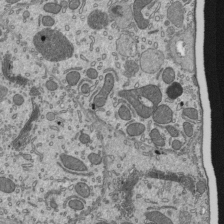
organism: Mouse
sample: Mouse epididymis efferent ductule cilia